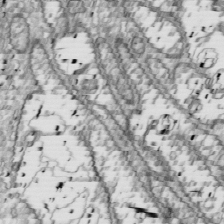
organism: Drosophila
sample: Cell division; meiosis; drosophila spermatocytes